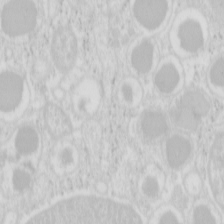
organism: Mouse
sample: Pancreas